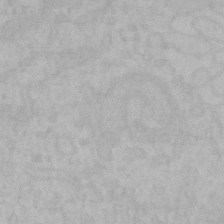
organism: Mouse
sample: Choroid plexus